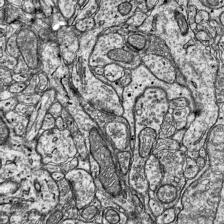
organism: Mouse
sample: Visual Cortex